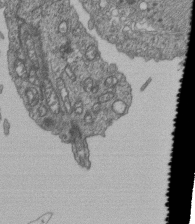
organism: Human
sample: Retinal organoid Rod and Cone cells